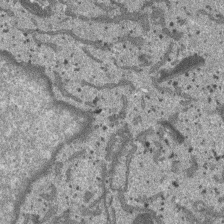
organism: Human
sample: Lung epithelial cells infected with SARS-CoV-2